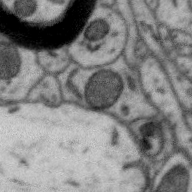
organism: Zebra finch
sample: Brain